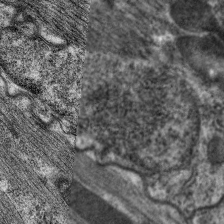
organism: C. elegans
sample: Pharynx